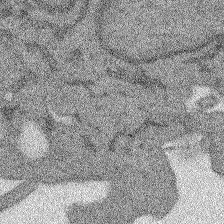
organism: Human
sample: HeLa cells